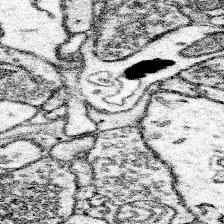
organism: Mouse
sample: Somatosensory cortex neuropil